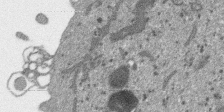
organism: Human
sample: Lung epithelial cells infected with SARS-CoV-2